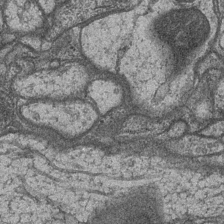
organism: Drosophila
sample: Optic medulla